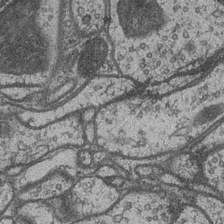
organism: Drosophila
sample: Optic medulla